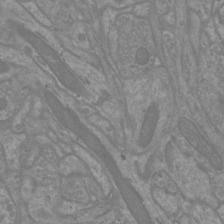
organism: Mouse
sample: Cortical neurons